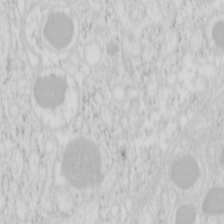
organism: Mouse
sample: Pancreas